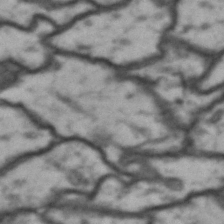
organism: Drosophila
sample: Brain